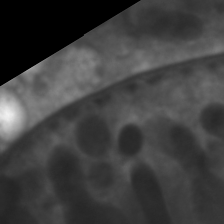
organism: C. elegans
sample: Pharynx